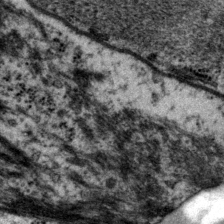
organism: P. pacificus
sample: Pharynx